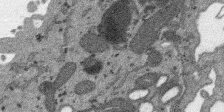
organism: Human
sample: Lung epithelial cells infected with SARS-CoV-2